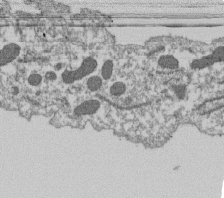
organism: Dictyostelium discoideum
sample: Dictyostelium multivesicular bodies